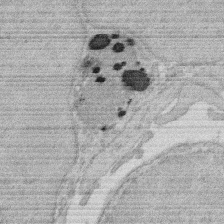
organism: Rat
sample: Salivary granule